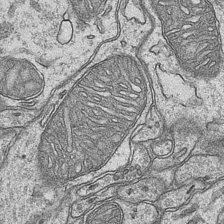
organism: Mouse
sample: CA1 Hippocampus